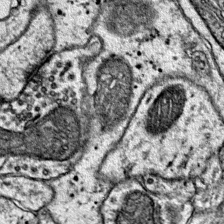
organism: Mouse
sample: Primary visual cortex